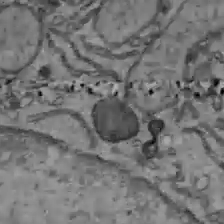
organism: C57BL Mouse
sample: Liver